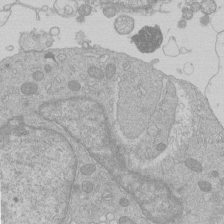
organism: Human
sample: Macrophage cells